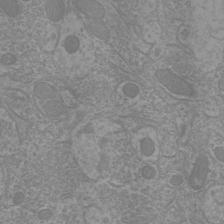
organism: Mouse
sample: Cortical neurons